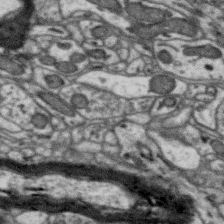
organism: Zebra finch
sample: Brain